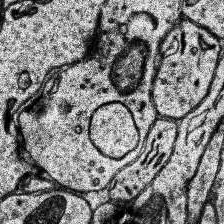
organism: Human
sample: Temporal Lobe